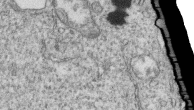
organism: Human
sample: HeLa cell HIV synapse